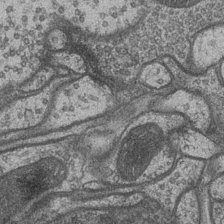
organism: Drosophila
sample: Optic medulla